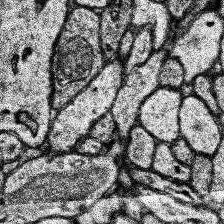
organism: Human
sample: Temporal Lobe